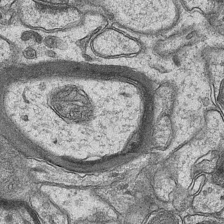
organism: Mouse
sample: CA1 Hippocampus